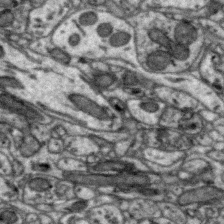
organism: Zebra finch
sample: Brain